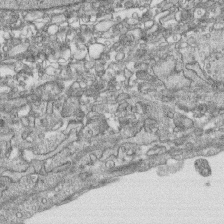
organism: Human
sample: CRL-1474